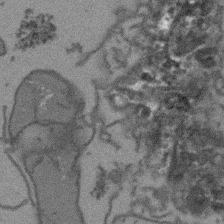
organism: Arabidopsis thaliana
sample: Root tip